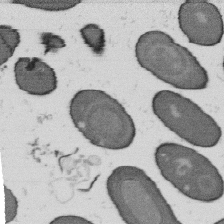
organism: B. subtilis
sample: Bacterial spore